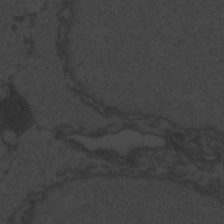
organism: Zebrafish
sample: Macrophage infected with Toxoplasma gondii